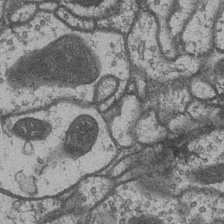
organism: Drosophila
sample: Optic medulla